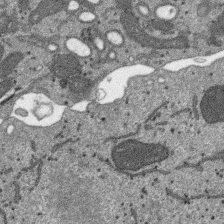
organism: Human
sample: Lung epithelial cells infected with SARS-CoV-2